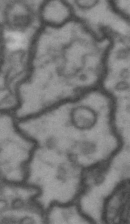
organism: Drosophila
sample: Brain